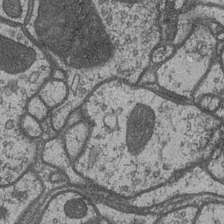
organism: Drosophila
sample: Optic medulla